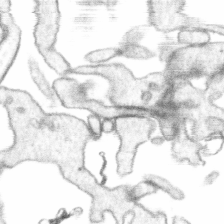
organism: Human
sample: HeLa cells